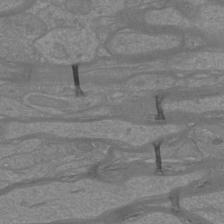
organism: Mouse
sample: Cortical neurons